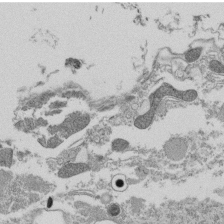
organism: Tetrahymena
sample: Cilia in tetrahymena